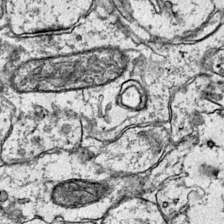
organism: Mouse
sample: Primary visual cortex